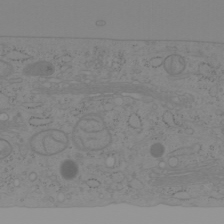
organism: Human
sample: HeLa cells